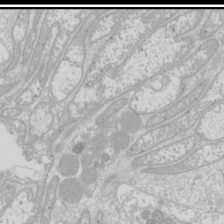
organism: Drosophila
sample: Cell division; meiosis; drosophila spermatocytes